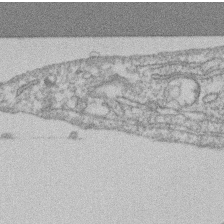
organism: Mouse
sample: T cell stromal cell synapse